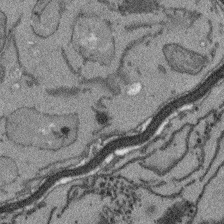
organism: Arabidopsis thaliana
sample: Root tip